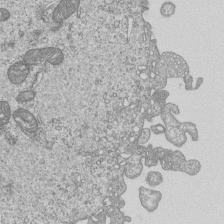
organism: Human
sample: MDA-MB-231 cells